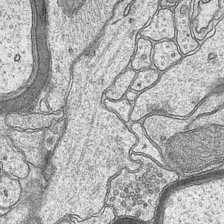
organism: Mouse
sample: CA1 Hippocampus